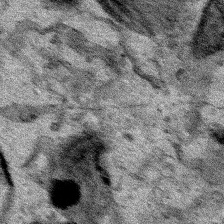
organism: Human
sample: Mitochondria in HCT116 cells